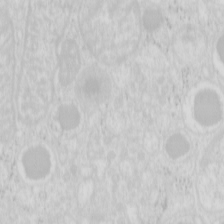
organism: Mouse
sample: Pancreas